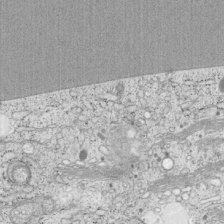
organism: African green monkey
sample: COS-7 cells